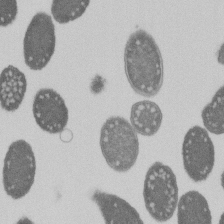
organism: E. coli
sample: Bacterial nucleoid